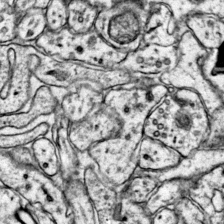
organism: Mouse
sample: Primary visual cortex